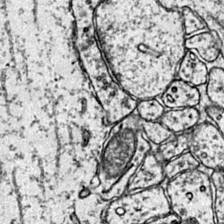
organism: Mouse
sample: Primary visual cortex